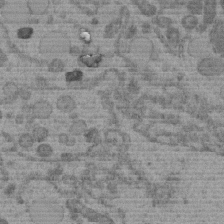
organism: C. elegans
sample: C. elegans embryo early stage